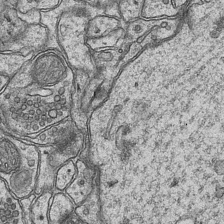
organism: Mouse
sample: CA1 Hippocampus